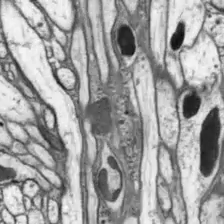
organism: Drosophila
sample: Optic lobe